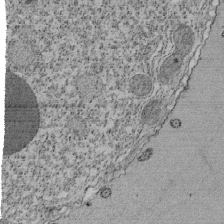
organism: Tetrahymena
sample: Cilia in tetrahymena